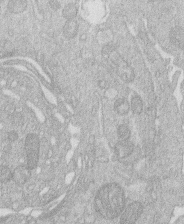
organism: Human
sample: Macrophage cells